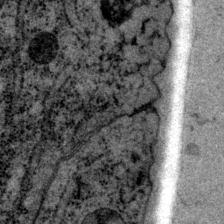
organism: P. pacificus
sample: Pharynx